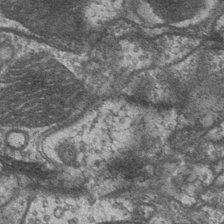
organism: Drosophila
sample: Optic medulla